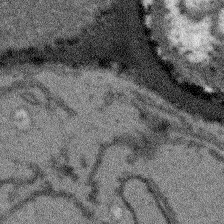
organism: Arabidopsis thaliana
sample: Root tip